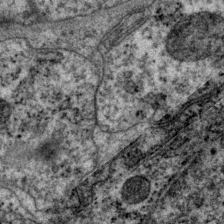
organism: P. pacificus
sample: Pharynx